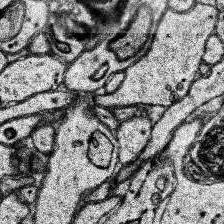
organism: Human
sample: Temporal Lobe